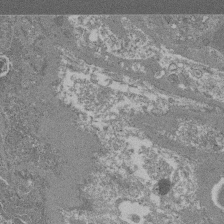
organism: Mouse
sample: Glomerulus